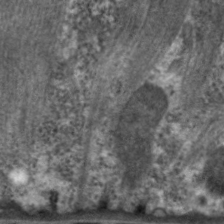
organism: C. elegans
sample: Pharynx